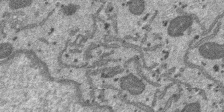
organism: Human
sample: Lung epithelial cells infected with SARS-CoV-2